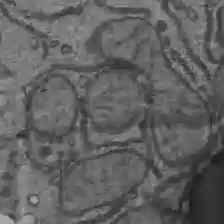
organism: C57BL Mouse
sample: Liver